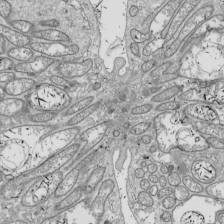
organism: Drosophila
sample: Cell division; meiosis; drosophila spermatocytes